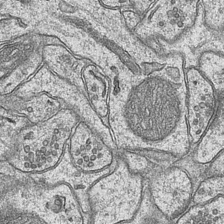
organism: Mouse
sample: CA1 Hippocampus